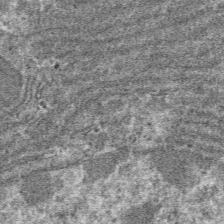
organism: Mouse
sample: Mouse hepatocytes